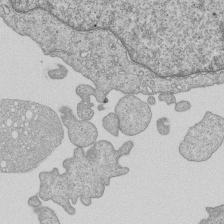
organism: Human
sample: MDA-MB-231 cells